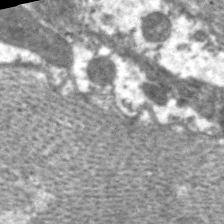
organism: C. elegans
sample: Pharynx